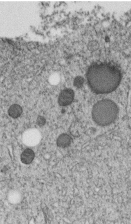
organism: C. elegans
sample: C. elegans embryo early stage